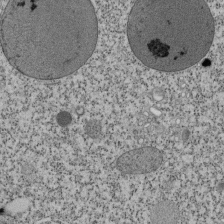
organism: Tetrahymena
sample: Cilia in tetrahymena